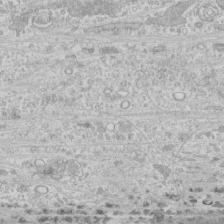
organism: Human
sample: CRL-1474